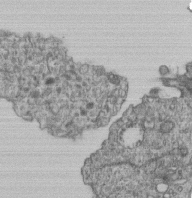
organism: Human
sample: Retinal organoid Rod and Cone cells